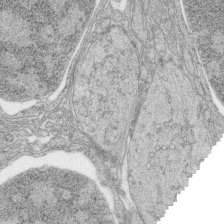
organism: Zebrafish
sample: synaptic ribbons in rod cells and cone cells